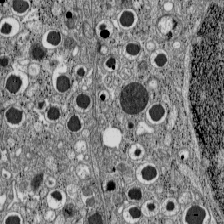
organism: C57BL Mouse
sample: Pancreatic islet